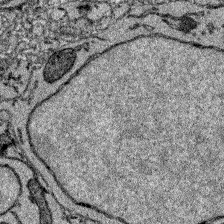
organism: Zebrafish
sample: Larval olfactory bulb